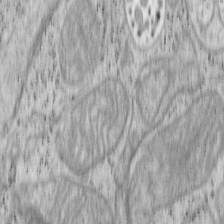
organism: Human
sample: HeLa cells